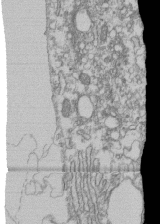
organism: Human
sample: Fibroblast cells